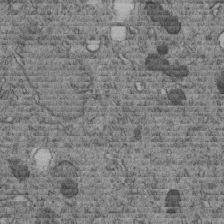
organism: C. elegans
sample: C. elegans embryo early stage